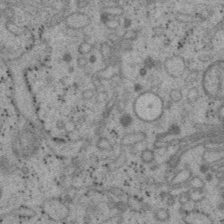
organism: Human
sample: HeLa cells